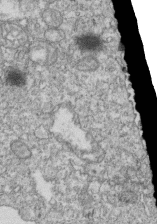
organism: Human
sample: HeLa cell HIV synapse